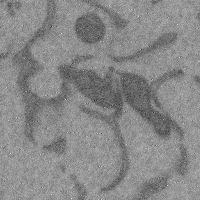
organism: Mouse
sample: Cerebral cortex